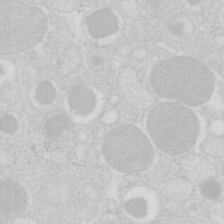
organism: Mouse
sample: Pancreas